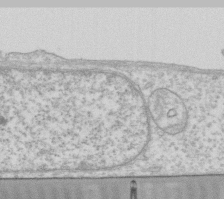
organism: Human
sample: Fibroblast cells